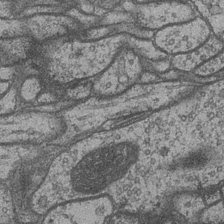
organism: Drosophila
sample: Optic medulla